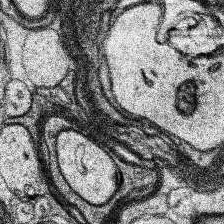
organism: Human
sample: Temporal Lobe